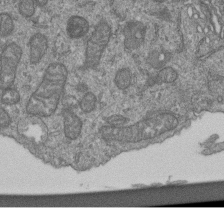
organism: Human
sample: Retinal organoid Rod and Cone cells